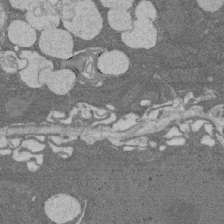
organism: Rat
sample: Salivary granule